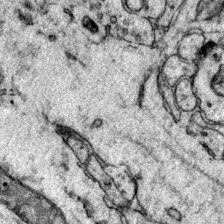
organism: Mouse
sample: Primary visual cortex